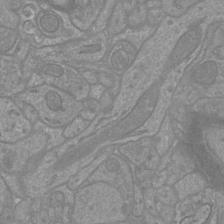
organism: Mouse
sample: Cortical neurons